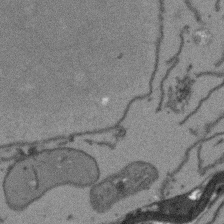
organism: Arabidopsis thaliana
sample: Root tip